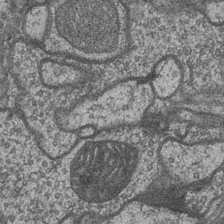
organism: Drosophila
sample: Optic medulla